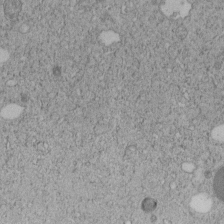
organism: C. elegans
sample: C. elegans embryo early stage